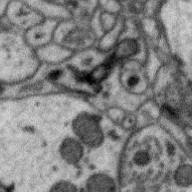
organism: Zebra finch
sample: Brain